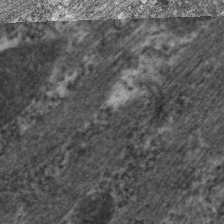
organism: C. elegans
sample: Pharynx